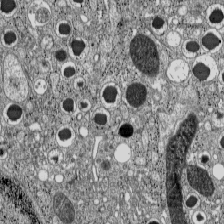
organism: C57BL Mouse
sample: Pancreatic islet